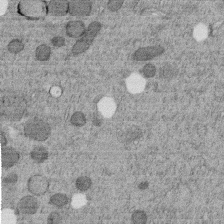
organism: C. elegans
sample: C. elegans embryo early stage